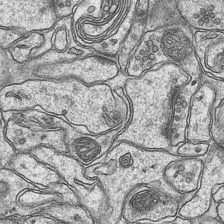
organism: Mouse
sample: CA1 Hippocampus